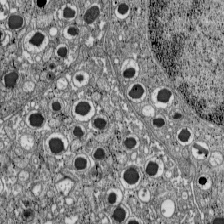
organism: C57BL Mouse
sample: Pancreatic islet